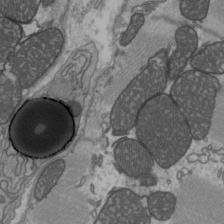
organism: C57BL Mouse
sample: Heart